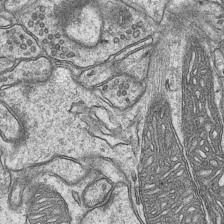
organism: Mouse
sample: CA1 Hippocampus